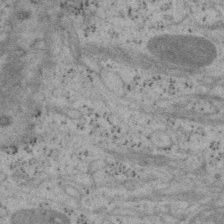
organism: Human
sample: HeLa cells